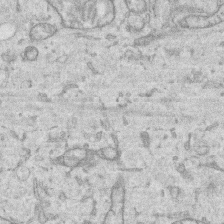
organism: Human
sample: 1205lu cells